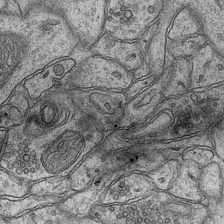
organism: Mouse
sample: CA1 Hippocampus